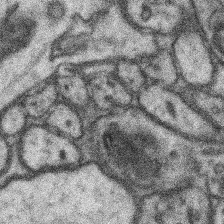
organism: Mouse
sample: Somatosensory cortex neuropil